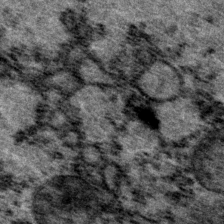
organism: P. pacificus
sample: Pharynx